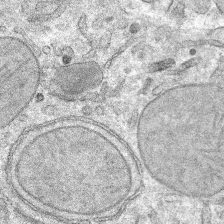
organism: Mouse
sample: Mouse hepatocytes